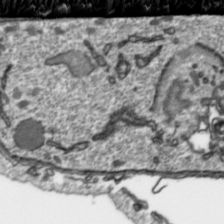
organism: Toxoplasma gondii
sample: Parasites in a vacuole inside a host cell